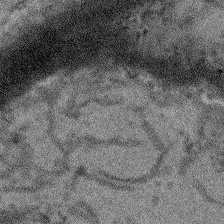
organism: Arabidopsis thaliana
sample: Root tip